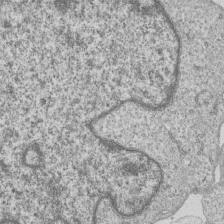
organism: Human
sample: MDA-MB-231 cells